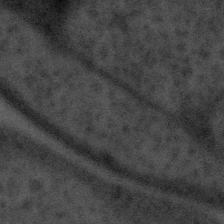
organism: Tuwongella immobilis